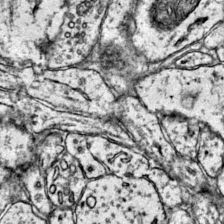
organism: Mouse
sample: Primary visual cortex